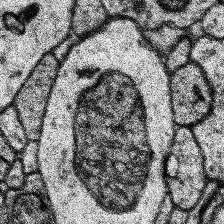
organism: Human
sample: Temporal Lobe